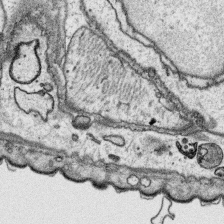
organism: Platynereis dumerilii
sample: Parapodia